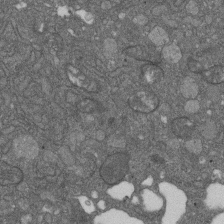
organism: Drosophila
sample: Nephrocyte